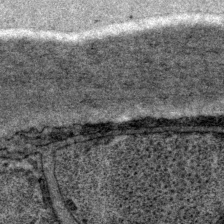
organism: P. pacificus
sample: Pharynx